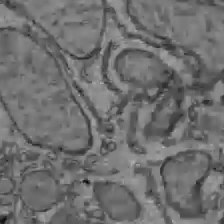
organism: C57BL Mouse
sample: Liver